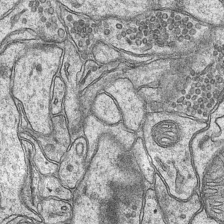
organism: Mouse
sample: CA1 Hippocampus